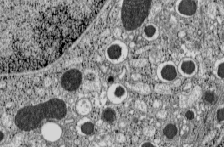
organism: C57BL Mouse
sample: Pancreatic islet